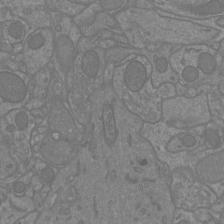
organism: Mouse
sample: Cortical neurons